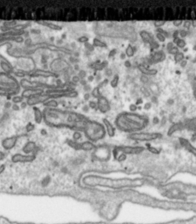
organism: Toxoplasma gondii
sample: Parasites in a vacuole inside a host cell